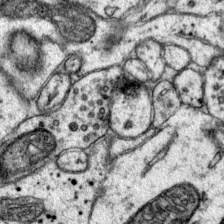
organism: Mouse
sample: Primary visual cortex